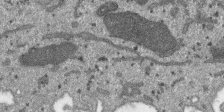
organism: Human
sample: Lung epithelial cells infected with SARS-CoV-2